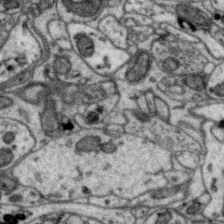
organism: Zebra finch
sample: Brain